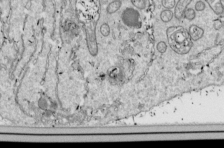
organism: Drosophila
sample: Cell division; meiosis; drosophila spermatocytes